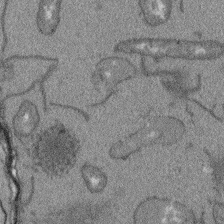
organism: Arabidopsis thaliana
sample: Root tip